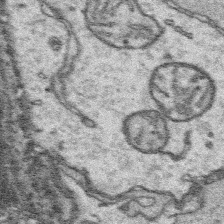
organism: Platynereis dumerilii